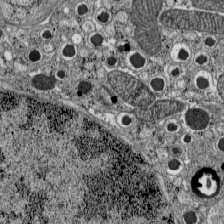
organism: C57BL Mouse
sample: Pancreatic islet